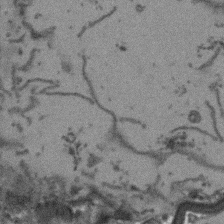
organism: Arabidopsis thaliana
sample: Root tip